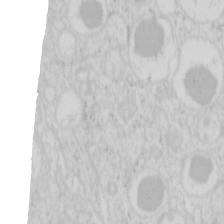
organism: Mouse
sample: Pancreas